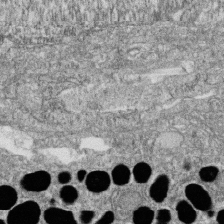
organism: Zebrafish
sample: Cilia; retinal pigment epithelium